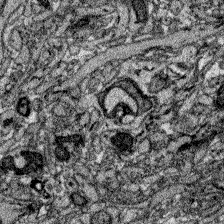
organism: Zebrafish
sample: Larval olfactory bulb